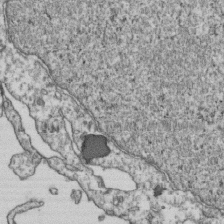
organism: Human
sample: Activated Jurkat CD4+ T cells